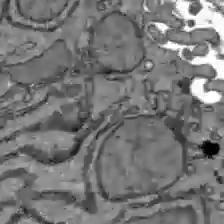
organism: C57BL Mouse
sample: Liver